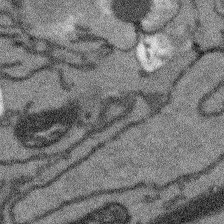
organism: Arabidopsis thaliana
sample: Root tip